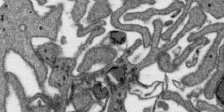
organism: Human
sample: Lung epithelial cells, uninfected (mock) control